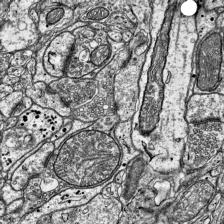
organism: Mouse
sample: Visual Cortex